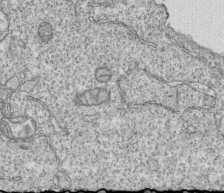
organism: Human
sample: HeLa cell HIV synapse